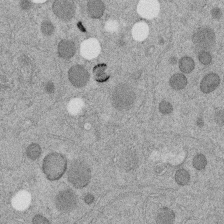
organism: C. elegans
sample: C. elegans embryo early stage